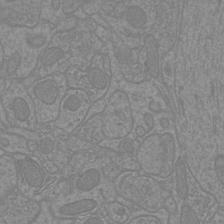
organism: Mouse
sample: Cortical neurons